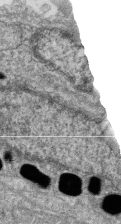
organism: Zebrafish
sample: Cilia; retinal pigment epithelium